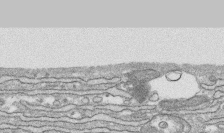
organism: Human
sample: CRL-1474